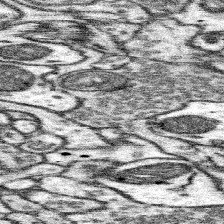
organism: Mouse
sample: Somatosensory cortex neuropil